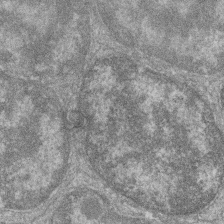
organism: Zebrafish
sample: Cilia; retinal pigment epithelium